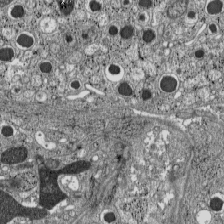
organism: C57BL Mouse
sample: Pancreatic islet